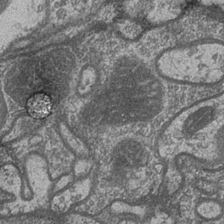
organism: Drosophila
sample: Optic medulla